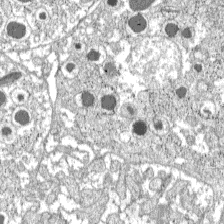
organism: C57BL Mouse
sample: Pancreatic islet